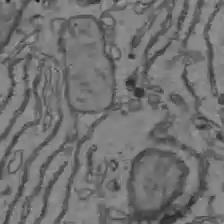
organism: C57BL Mouse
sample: Liver